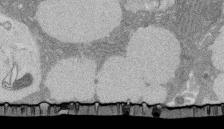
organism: Rat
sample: Salivary granule